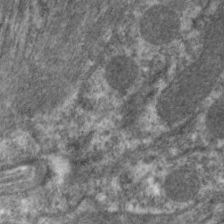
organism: C. elegans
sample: Pharynx